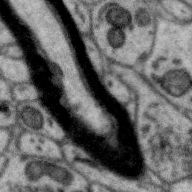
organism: Zebra finch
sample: Brain